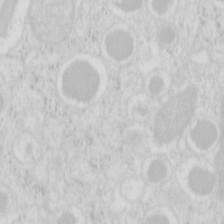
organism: Mouse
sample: Pancreas